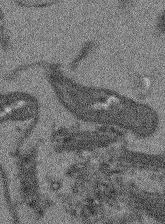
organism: Arabidopsis thaliana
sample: Root tip